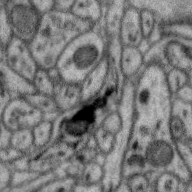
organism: Zebra finch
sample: Brain